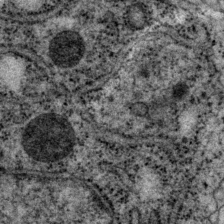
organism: P. pacificus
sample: Pharynx